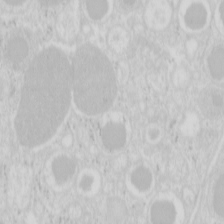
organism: Mouse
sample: Pancreas